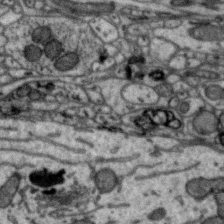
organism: Zebra finch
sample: Brain